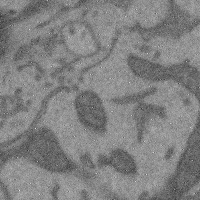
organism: Mouse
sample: Cerebral cortex